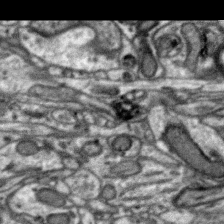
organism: Zebra finch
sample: Brain